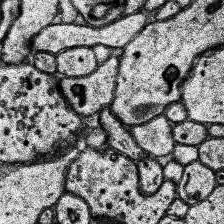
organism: Human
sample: Temporal Lobe